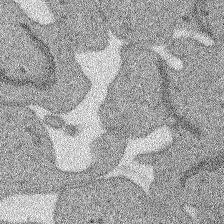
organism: Human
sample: HeLa cells